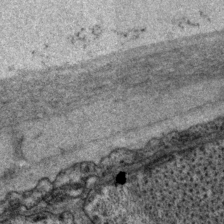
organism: P. pacificus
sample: Pharynx